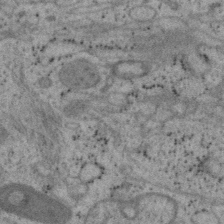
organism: Human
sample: HeLa cells